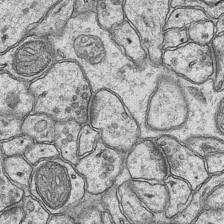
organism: Mouse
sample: CA1 Hippocampus